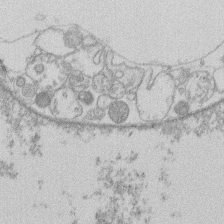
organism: Human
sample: Macrophage cells